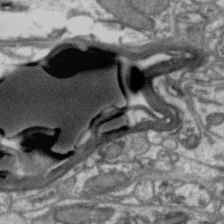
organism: Zebra finch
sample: Brain